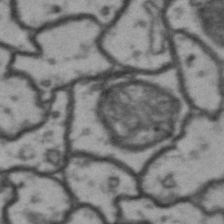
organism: Drosophila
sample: Brain